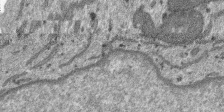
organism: Human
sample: Lung epithelial cells infected with SARS-CoV-2